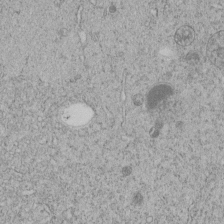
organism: C. elegans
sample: C. elegans embryo early stage